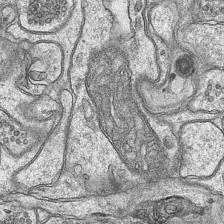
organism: Mouse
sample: CA1 Hippocampus